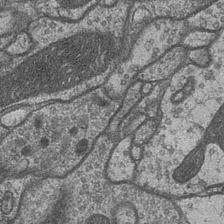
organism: Drosophila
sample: Optic medulla